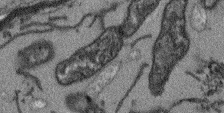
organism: Arabidopsis thaliana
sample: Root tip